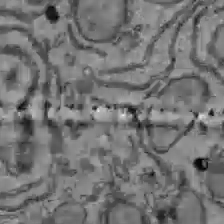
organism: C57BL Mouse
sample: Liver